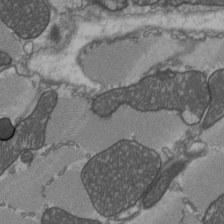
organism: C57BL Mouse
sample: Heart